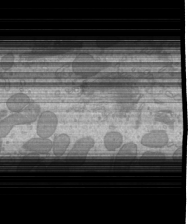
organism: Mouse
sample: Cilia; mouse epididymis